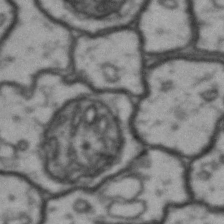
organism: Drosophila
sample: Brain